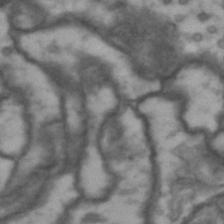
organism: Drosophila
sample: Brain